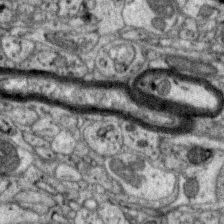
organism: Zebra finch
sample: Brain